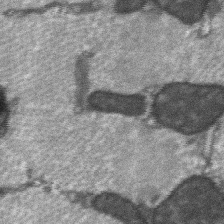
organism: C57BL Mouse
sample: Soleus